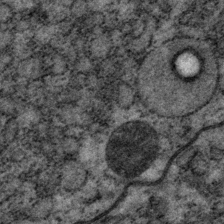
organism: P. pacificus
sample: Pharynx